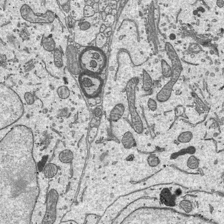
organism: Mouse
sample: Suprachiasmatic nucleus